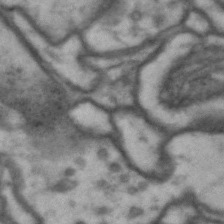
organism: Drosophila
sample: Brain